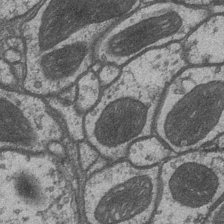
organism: Drosophila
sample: Optic medulla